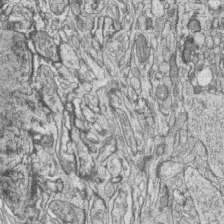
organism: Zebrafish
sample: synaptic ribbons in rod cells and cone cells